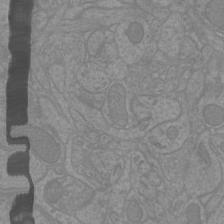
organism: Mouse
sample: Cortical neurons